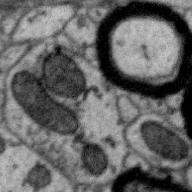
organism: Zebra finch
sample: Brain